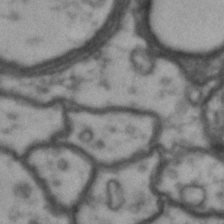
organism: Drosophila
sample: Brain